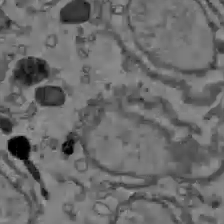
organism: C57BL Mouse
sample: Liver